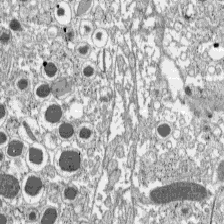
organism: C57BL Mouse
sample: Pancreatic islet